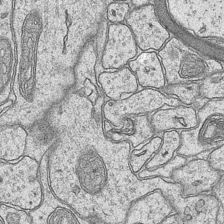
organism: Mouse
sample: CA1 Hippocampus